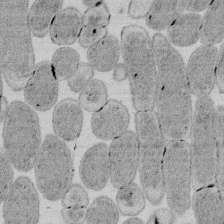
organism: E. coli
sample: Bacterial nucleoid